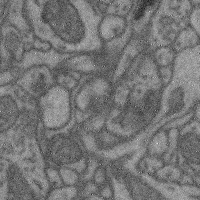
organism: Mouse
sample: Cerebral cortex